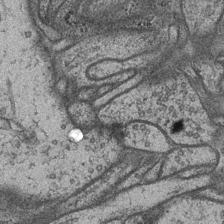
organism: Drosophila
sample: Optic medulla